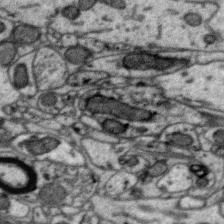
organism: Zebra finch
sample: Brain